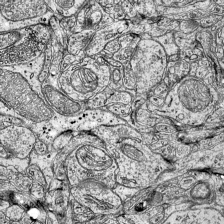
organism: Mouse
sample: Visual Cortex